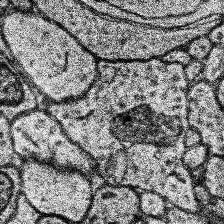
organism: Human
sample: Temporal Lobe